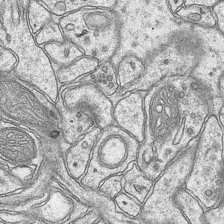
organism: Mouse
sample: CA1 Hippocampus